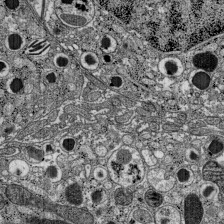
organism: C57BL Mouse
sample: Pancreatic islet